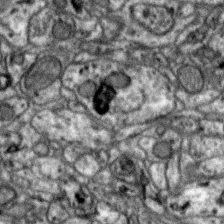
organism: Zebra finch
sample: Brain